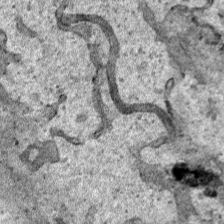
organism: Human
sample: Mitochondria in HCT116 cells